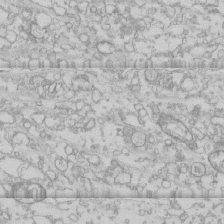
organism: Human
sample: CRL-1474